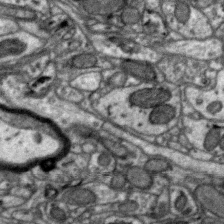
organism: Zebra finch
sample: Brain